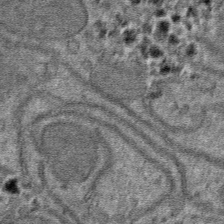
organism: Mouse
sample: Mouse hepatocytes